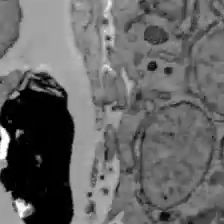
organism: C57BL Mouse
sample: Liver